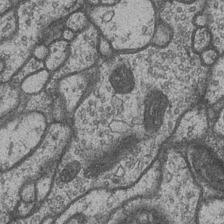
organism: Drosophila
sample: Optic medulla